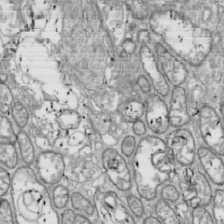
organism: Drosophila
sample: Cell division; meiosis; drosophila spermatocytes